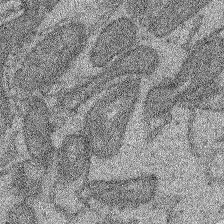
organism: Human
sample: HeLa cells